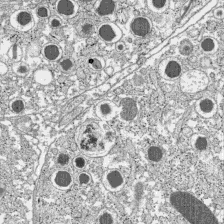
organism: C57BL Mouse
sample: Pancreatic islet